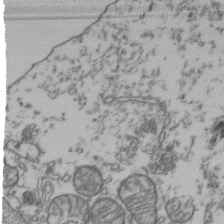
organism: Human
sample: Activated Jurkat CD4+ T cells